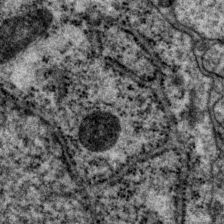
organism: P. pacificus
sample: Pharynx